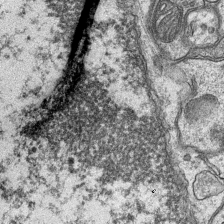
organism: Mouse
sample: CA1 Hippocampus